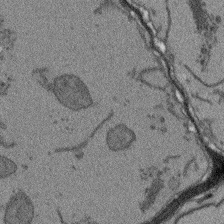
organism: Arabidopsis thaliana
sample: Root tip